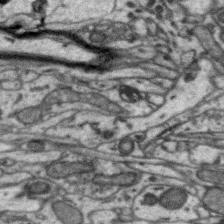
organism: Zebra finch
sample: Brain